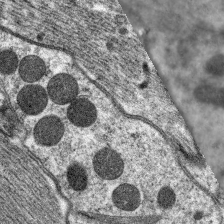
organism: C. elegans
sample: Pharynx